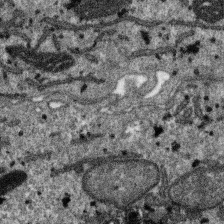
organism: Human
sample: Lung epithelial cells infected with SARS-CoV-2